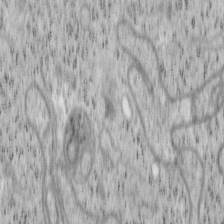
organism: Human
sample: HeLa cells